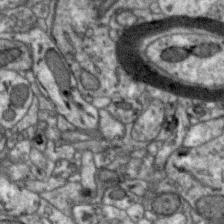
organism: Zebra finch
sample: Brain